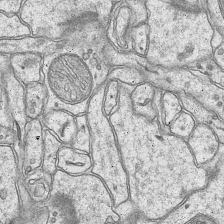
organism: Mouse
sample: CA1 Hippocampus